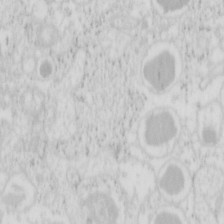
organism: Mouse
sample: Pancreas